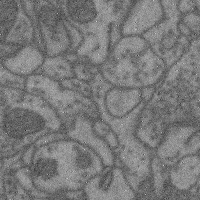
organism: Mouse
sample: Cerebral cortex